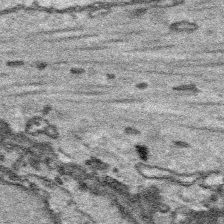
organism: Platynereis dumerilii